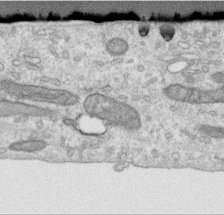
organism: Human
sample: Centriole in RPE cells